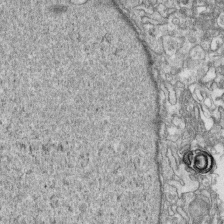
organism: Human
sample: CRL-1474